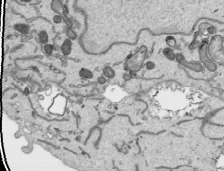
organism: Human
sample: Mitochondria in HCT116 cells